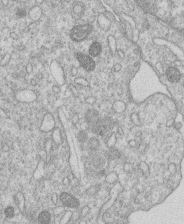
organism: Human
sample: Macrophage cells